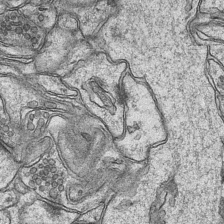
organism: Mouse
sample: CA1 Hippocampus